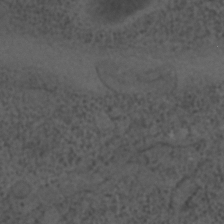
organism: C. elegans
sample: C. elegans embryo